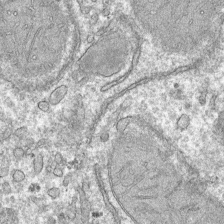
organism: Mouse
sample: Mouse hepatocytes